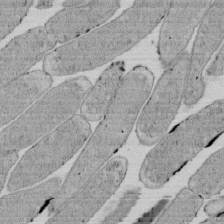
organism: E. coli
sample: Bacterial nucleoid